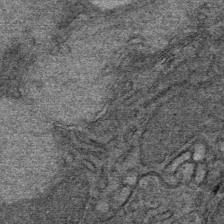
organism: Mouse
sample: Mouse Salivary gland